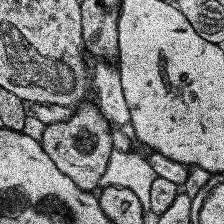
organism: Human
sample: Temporal Lobe